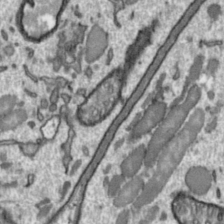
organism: Toxoplasma gondii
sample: Parasites in a vacuole inside a host cell